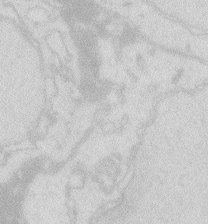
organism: Zebrafish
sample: Macrophage